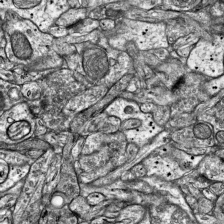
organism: Mouse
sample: Visual Cortex